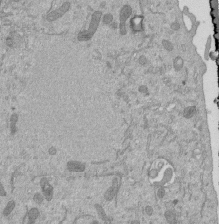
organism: Mouse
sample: ED-1 cell nuclei; centrioles